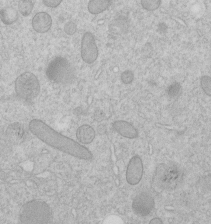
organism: C. elegans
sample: C. elegans embryo early stage